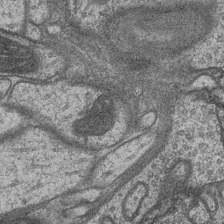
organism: Drosophila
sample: Optic medulla